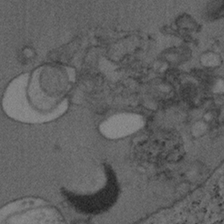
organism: Human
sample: HeLa cells